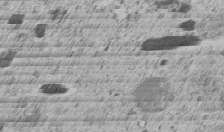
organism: C. elegans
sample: C. elegans embryo early stage